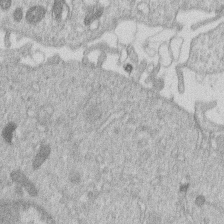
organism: Human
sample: Macrophage cells